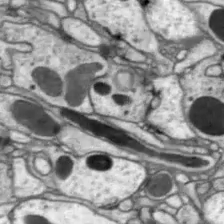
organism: Drosophila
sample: Optic lobe